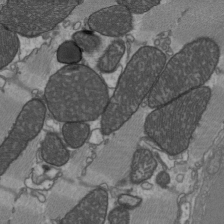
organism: C57BL Mouse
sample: Heart